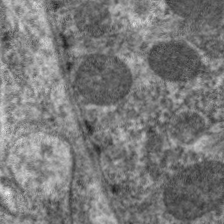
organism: C. elegans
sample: Pharynx